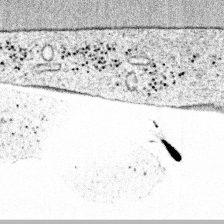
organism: Human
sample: HeLa cells